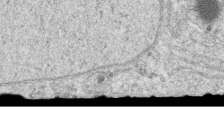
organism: Human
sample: HeLa cell HIV synapse